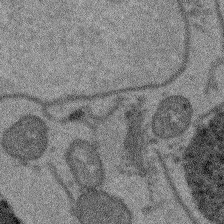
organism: Arabidopsis thaliana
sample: Root tip